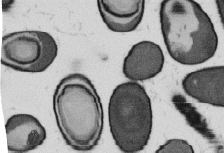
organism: B. subtilis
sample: Bacterial spore